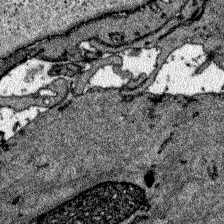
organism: Zebrafish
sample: Larval olfactory bulb